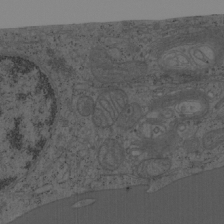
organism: Human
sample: HeLa cells